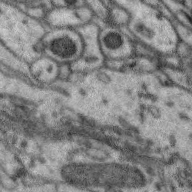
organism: Zebra finch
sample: Brain